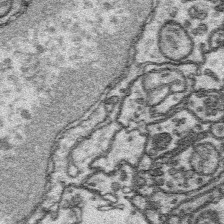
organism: Platynereis dumerilii